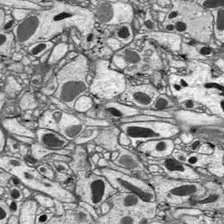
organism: Drosophila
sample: Optic lobe